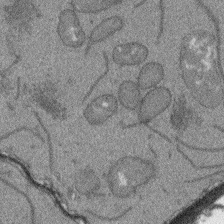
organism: Arabidopsis thaliana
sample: Root tip